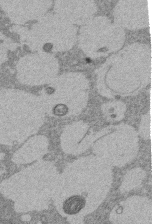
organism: Rat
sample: Salivary granule